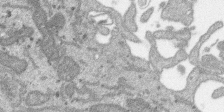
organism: Human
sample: Lung epithelial cells infected with SARS-CoV-2